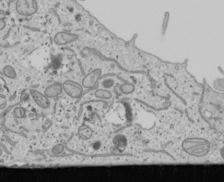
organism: Human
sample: Mitochondria in U2OS cells